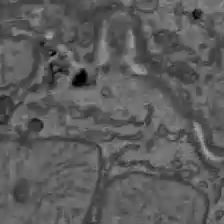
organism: C57BL Mouse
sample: Liver